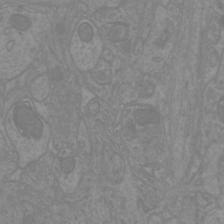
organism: Mouse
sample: Cortical neurons